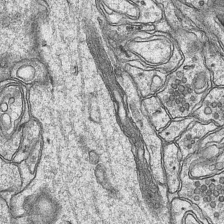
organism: Mouse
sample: CA1 Hippocampus